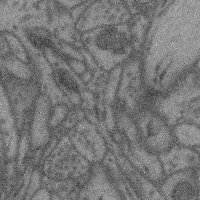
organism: Mouse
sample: Cerebral cortex